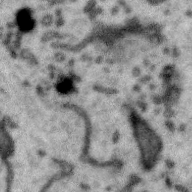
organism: Zebra finch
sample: Brain